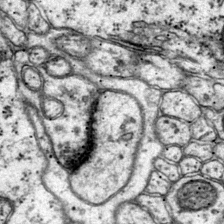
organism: Mouse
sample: Primary visual cortex